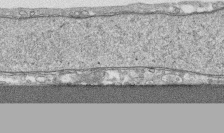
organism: Human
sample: CRL-1474